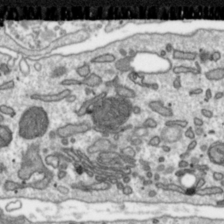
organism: Toxoplasma gondii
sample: Parasites in a vacuole inside a host cell